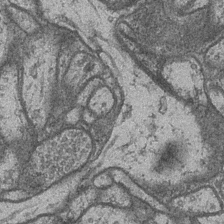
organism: Drosophila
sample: Optic medulla